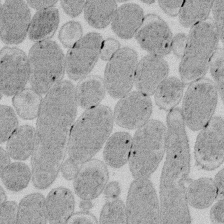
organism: E. coli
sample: Bacterial nucleoid